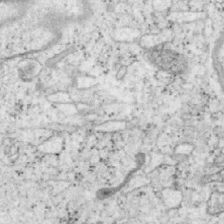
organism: Mouse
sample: OT-I killer T cells with ID8 ovarian cancer cells